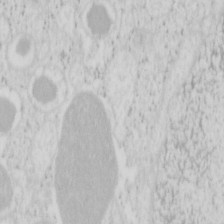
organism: Mouse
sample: Pancreas